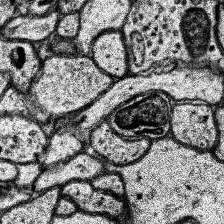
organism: Human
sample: Temporal Lobe